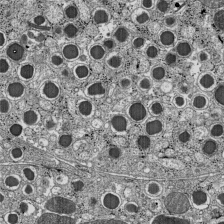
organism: C57BL Mouse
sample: Pancreatic islet